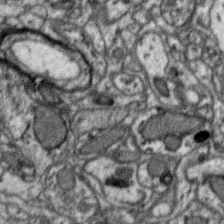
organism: Zebra finch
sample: Brain